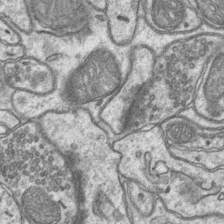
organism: Mouse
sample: CA1 Hippocampus